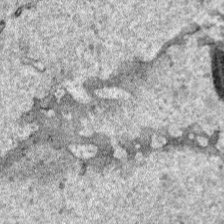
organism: Human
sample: Mitochondria in HCT116 cells